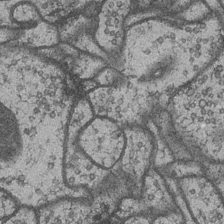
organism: Drosophila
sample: Optic medulla